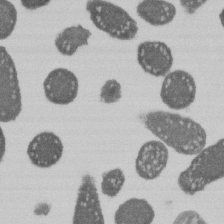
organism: E. coli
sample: Bacterial nucleoid